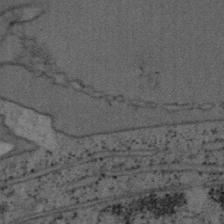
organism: Human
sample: HeLa cells